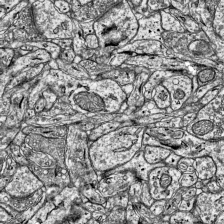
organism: Mouse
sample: Visual Cortex